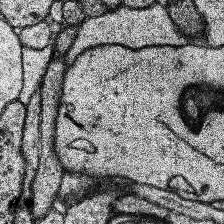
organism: Human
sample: Temporal Lobe